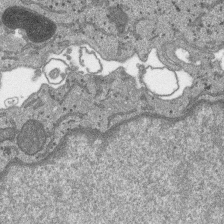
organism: Human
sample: Lung epithelial cells infected with SARS-CoV-2